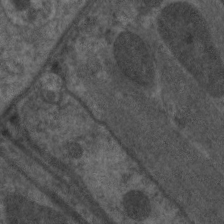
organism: C. elegans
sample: Pharynx